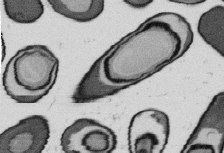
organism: B. subtilis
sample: Bacterial spore